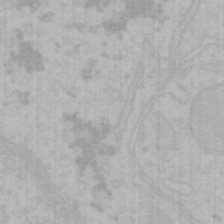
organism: Mouse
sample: Choroid plexus